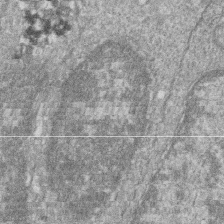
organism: Zebrafish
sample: Cilia; retinal pigment epithelium